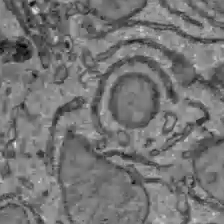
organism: C57BL Mouse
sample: Liver